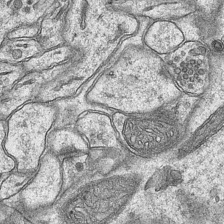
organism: Mouse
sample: CA1 Hippocampus